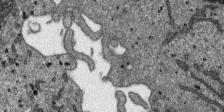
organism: Human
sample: Lung epithelial cells infected with SARS-CoV-2